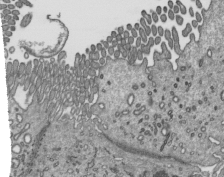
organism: Mouse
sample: Mouse epididymis efferent ductule cilia